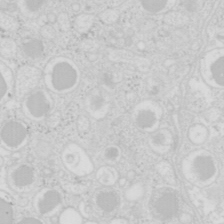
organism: Mouse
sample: Pancreas